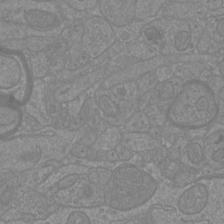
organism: Mouse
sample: Cortical neurons